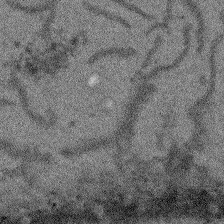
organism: Arabidopsis thaliana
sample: Root tip